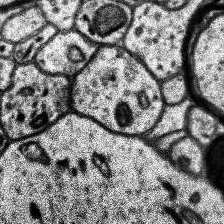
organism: Human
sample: Temporal Lobe